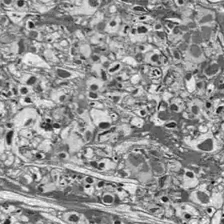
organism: Drosophila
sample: Optic lobe